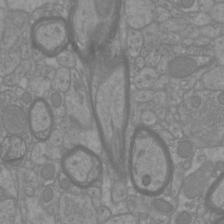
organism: Mouse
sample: Cortical neurons